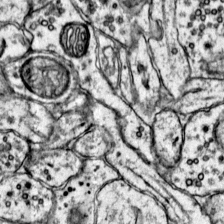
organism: Mouse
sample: Primary visual cortex